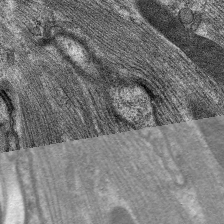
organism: C. elegans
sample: Pharynx